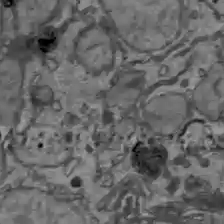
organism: C57BL Mouse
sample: Liver